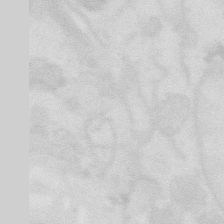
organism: Human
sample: HeLa cells